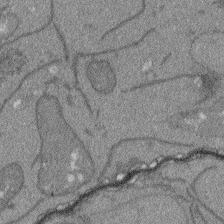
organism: Arabidopsis thaliana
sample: Root tip